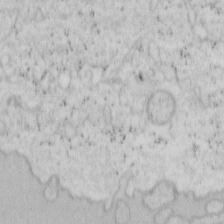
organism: Human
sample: HeLa cells